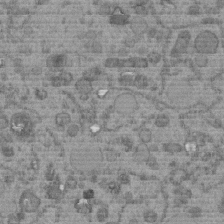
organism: C. elegans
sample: C. elegans embryo early stage